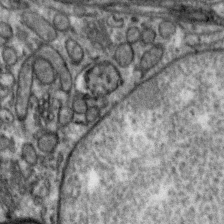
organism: Zebra finch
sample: Brain